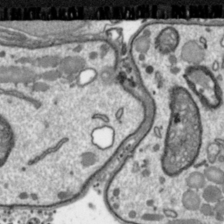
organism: Toxoplasma gondii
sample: Parasites in a vacuole inside a host cell